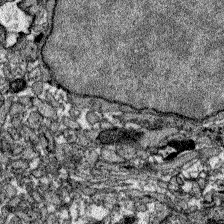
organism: Zebrafish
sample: Larval olfactory bulb